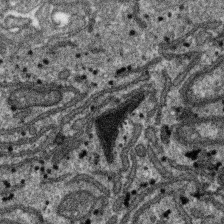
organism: Human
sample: Lung epithelial cells infected with SARS-CoV-2